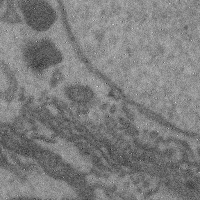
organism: Mouse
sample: Cerebral cortex